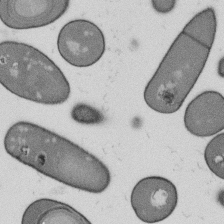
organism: B. subtilis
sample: Bacterial spore